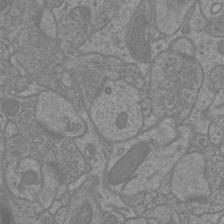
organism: Mouse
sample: Cortical neurons